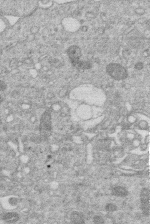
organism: Human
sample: Macrophage cells